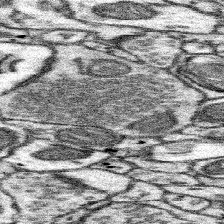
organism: Mouse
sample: Somatosensory cortex neuropil